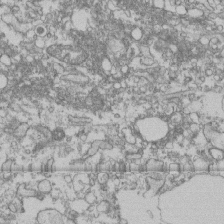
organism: Human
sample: Fibroblast cells